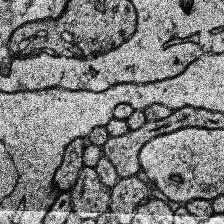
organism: Human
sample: Temporal Lobe